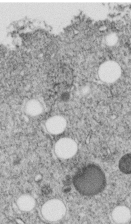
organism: C. elegans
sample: C. elegans embryo early stage